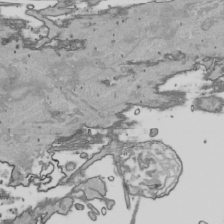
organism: Human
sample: Mitochondria in HCT116 cells